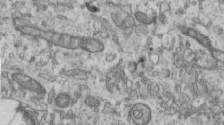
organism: Human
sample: Centriole in RPE cells